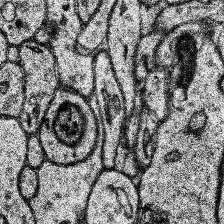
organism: Human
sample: Temporal Lobe